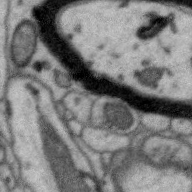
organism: Zebra finch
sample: Brain